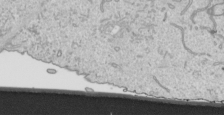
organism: Human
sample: Mitochondria in HCT116 cells